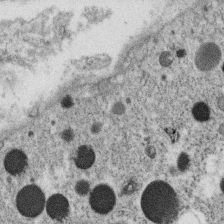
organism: C. elegans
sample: C. elegans oocyte; sperm cells